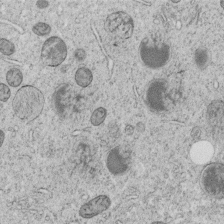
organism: C. elegans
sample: C. elegans embryo early stage